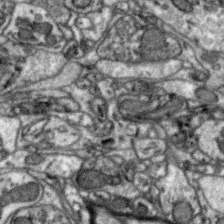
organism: Zebra finch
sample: Brain